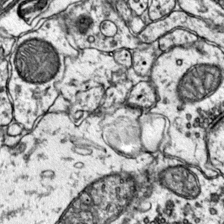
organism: Mouse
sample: Primary visual cortex